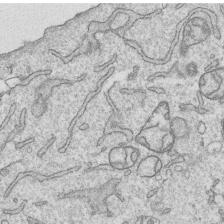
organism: Human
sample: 1205lu cells